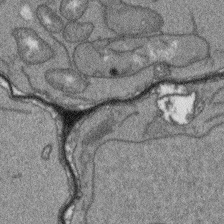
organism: Arabidopsis thaliana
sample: Root tip